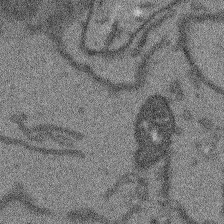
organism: Arabidopsis thaliana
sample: Root tip